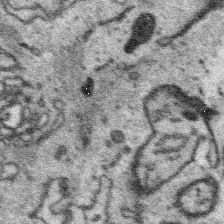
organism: Platynereis dumerilii